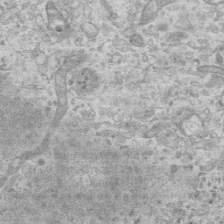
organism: Mouse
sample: Centriole in ependymal cells